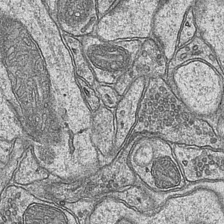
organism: Mouse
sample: CA1 Hippocampus